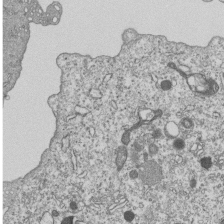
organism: Human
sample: MDA-MB-231 cells